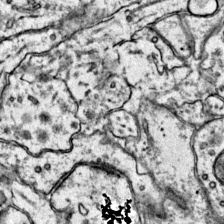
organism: Mouse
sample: Primary visual cortex